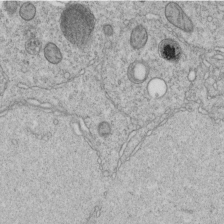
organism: C. elegans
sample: C. elegans embryo early stage